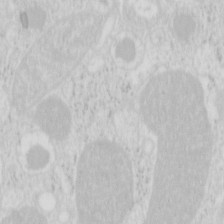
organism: Mouse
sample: Pancreas